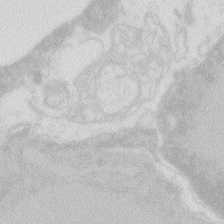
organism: Zebrafish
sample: Macrophage